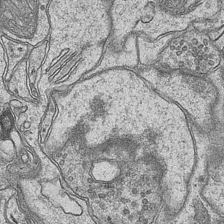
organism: Mouse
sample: CA1 Hippocampus